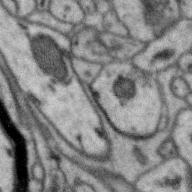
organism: Zebra finch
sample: Brain